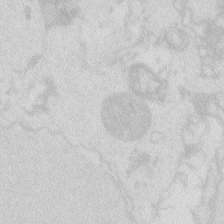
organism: Zebrafish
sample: Macrophage